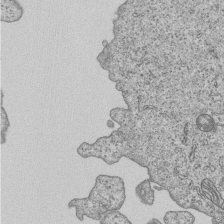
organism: Human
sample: MDA-MB-231 cells